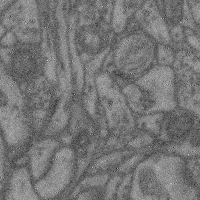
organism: Mouse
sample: Cerebral cortex